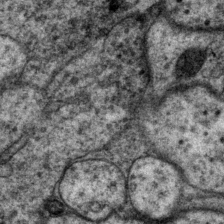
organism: P. pacificus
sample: Pharynx